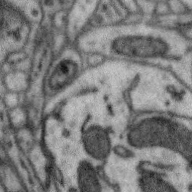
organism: Zebra finch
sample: Brain